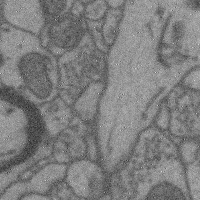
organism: Mouse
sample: Cerebral cortex